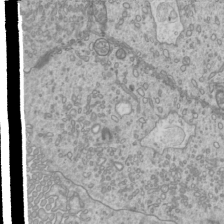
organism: Mouse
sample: Cilia; mouse epididymis